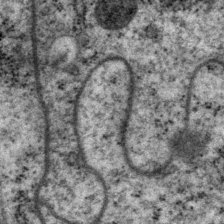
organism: P. pacificus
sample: Pharynx